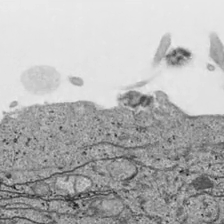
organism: Human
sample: HeLa cells